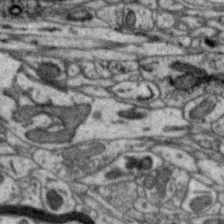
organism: Zebra finch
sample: Brain